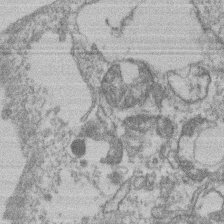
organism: Mouse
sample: T cell stromal cell synapse